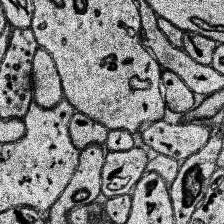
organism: Human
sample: Temporal Lobe